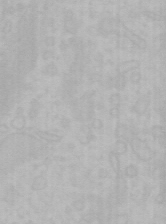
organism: Mouse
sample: Choroid plexus